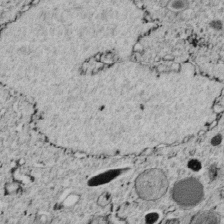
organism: C. elegans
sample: C. elegans embryo early stage